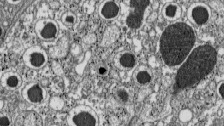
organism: C57BL Mouse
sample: Pancreatic islet